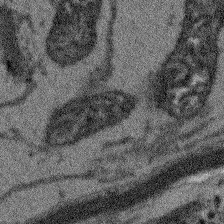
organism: Arabidopsis thaliana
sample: Root tip